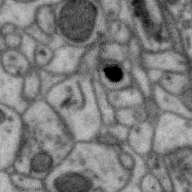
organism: Zebra finch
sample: Brain